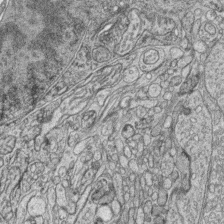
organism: Zebrafish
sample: synaptic ribbons in rod cells and cone cells